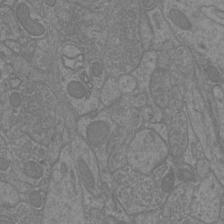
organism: Mouse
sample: Cortical neurons